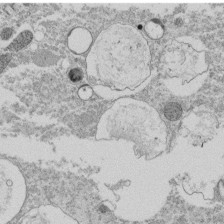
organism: Tetrahymena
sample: Cilia in tetrahymena